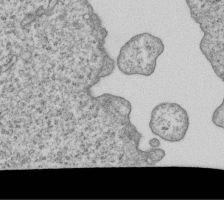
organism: Human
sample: MDA-MB-231 cells